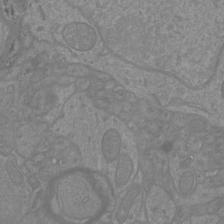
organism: Mouse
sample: Cortical neurons